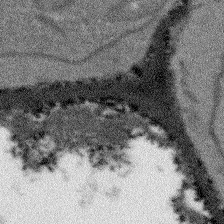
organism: Arabidopsis thaliana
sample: Root tip